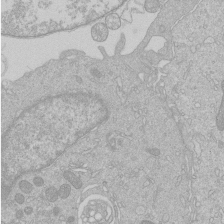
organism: Human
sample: Macrophage cells